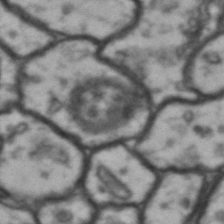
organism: Drosophila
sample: Brain